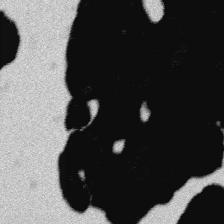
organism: Platynereis dumerilii